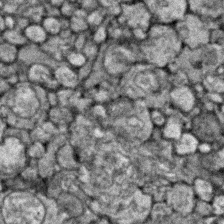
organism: Zebrafish